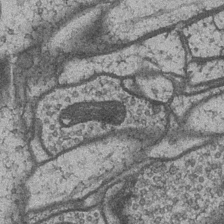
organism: Drosophila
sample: Optic medulla